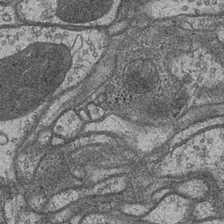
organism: Drosophila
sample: Optic medulla